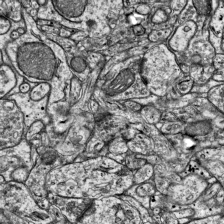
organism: Mouse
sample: Visual Cortex